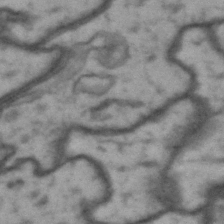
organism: Drosophila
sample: Brain